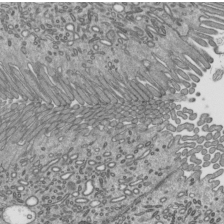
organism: Mouse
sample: Mouse epididymis efferent ductule cilia